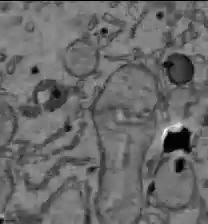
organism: C57BL Mouse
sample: Liver